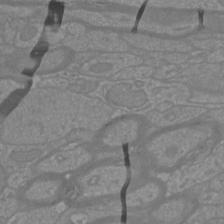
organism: Mouse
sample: Cortical neurons